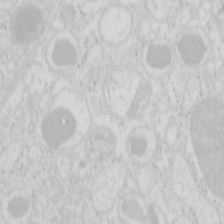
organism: Mouse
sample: Pancreas